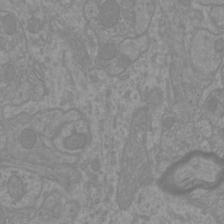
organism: Mouse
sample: Cortical neurons